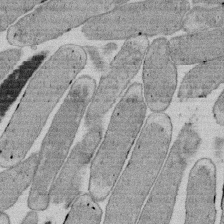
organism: E. coli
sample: Bacterial nucleoid